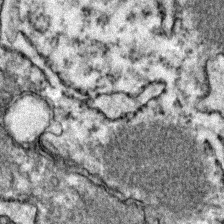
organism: Zebrafish